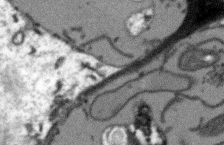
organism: Arabidopsis thaliana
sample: Root tip